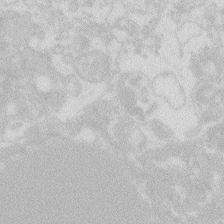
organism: Zebrafish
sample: Macrophage